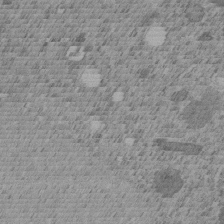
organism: C. elegans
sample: C. elegans embryo early stage